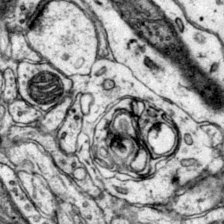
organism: Mouse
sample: Primary visual cortex